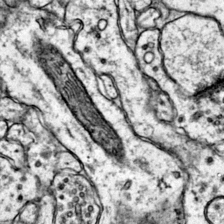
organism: Mouse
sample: Primary visual cortex